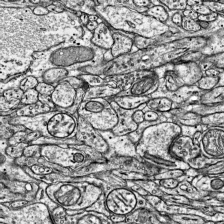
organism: Mouse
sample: Visual Cortex